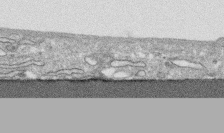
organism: Human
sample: CRL-1474